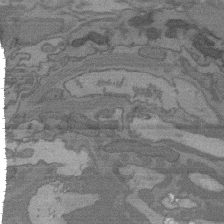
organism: C. elegans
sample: AFD neurons C. elegans